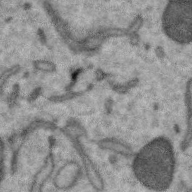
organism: Zebra finch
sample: Brain